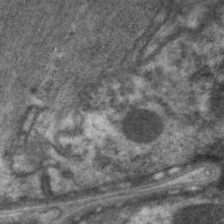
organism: C. elegans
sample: Pharynx